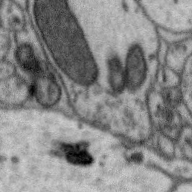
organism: Zebra finch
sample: Brain